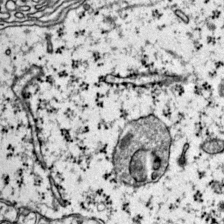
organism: Mouse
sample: Primary visual cortex